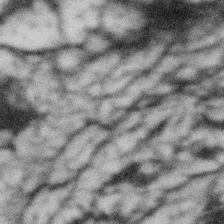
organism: Gemmata obscuriglobus